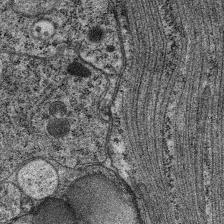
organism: C. elegans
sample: Pharynx